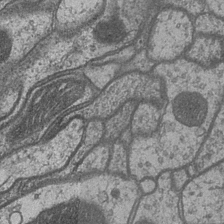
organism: Drosophila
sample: Optic medulla